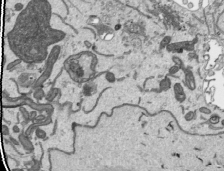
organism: Human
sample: Mitochondria in HCT116 cells